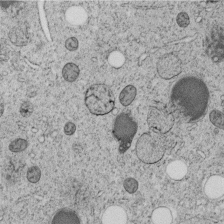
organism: C. elegans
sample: C. elegans embryo early stage